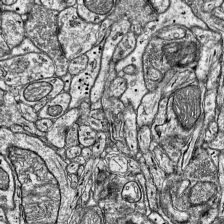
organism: Mouse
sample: Visual Cortex